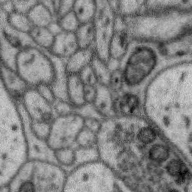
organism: Zebra finch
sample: Brain